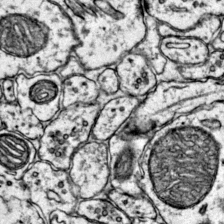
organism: Mouse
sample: Primary visual cortex